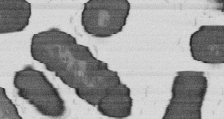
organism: B. subtilis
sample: Bacterial spore